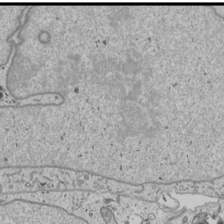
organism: Human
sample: Mitochondria in U2OS cells